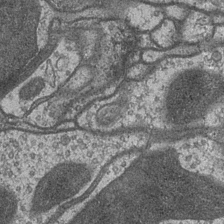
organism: Drosophila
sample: Optic medulla